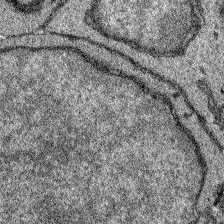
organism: Zebrafish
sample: Larval olfactory bulb